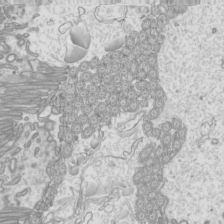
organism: Mouse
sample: Cilia; mouse epididymis